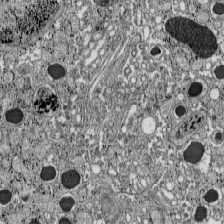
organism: C57BL Mouse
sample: Pancreatic islet